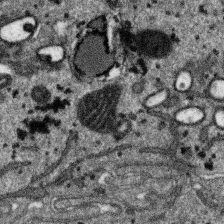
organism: Human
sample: Lung epithelial cells infected with SARS-CoV-2